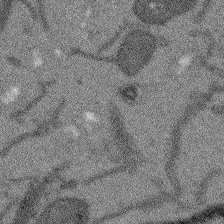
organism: Arabidopsis thaliana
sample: Root tip